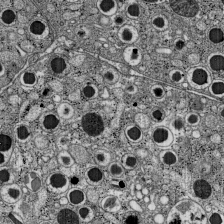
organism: C57BL Mouse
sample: Pancreatic islet